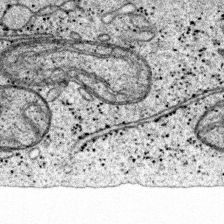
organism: Human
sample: HeLa cells